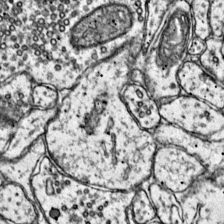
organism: Mouse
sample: Primary visual cortex